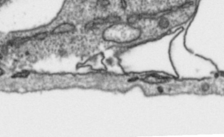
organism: Toxoplasma gondii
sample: Parasites in a vacuole inside a host cell